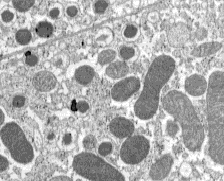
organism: C57BL Mouse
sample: Pancreatic islet